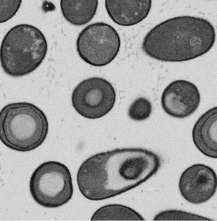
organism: B. subtilis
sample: Bacterial spore